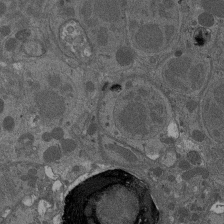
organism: Drosophila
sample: Antenna